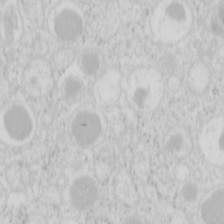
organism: Mouse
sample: Pancreas